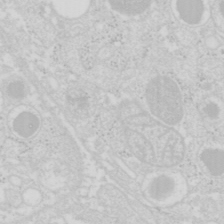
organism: Mouse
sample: Pancreas